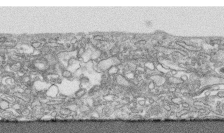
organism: Human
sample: CRL-1474